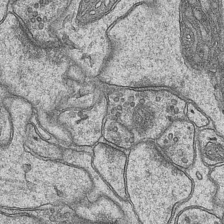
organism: Mouse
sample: CA1 Hippocampus